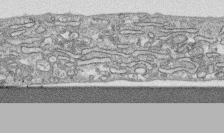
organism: Human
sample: CRL-1474